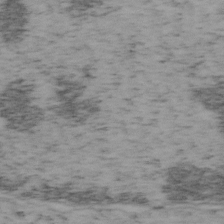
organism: Mouse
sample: OT-I killer T cells with ID8 ovarian cancer cells